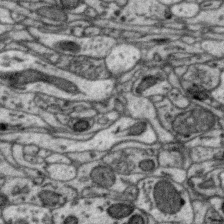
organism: Zebra finch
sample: Brain